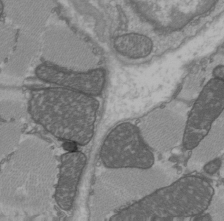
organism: C57BL Mouse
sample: Heart